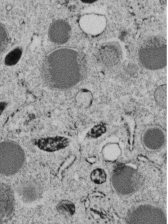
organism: C. elegans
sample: C. elegans embryo early stage